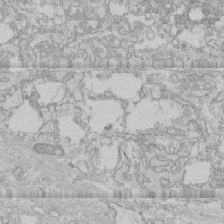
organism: Human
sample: CRL-1474